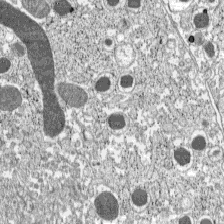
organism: C57BL Mouse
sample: Pancreatic islet